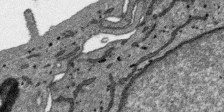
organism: Human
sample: Lung epithelial cells, uninfected (mock) control